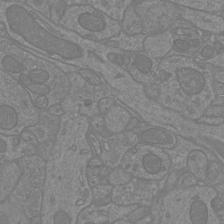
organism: Mouse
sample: Cortical neurons